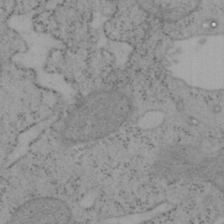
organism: Mouse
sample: OT-I killer T cells with ID8 ovarian cancer cells